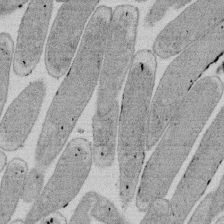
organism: E. coli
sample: Bacterial nucleoid